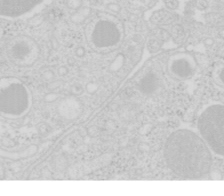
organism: Mouse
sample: Pancreas